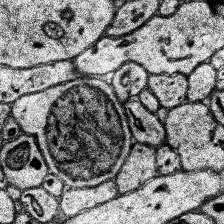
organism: Human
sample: Temporal Lobe